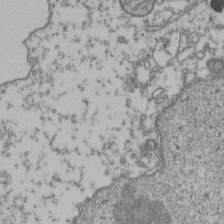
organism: Human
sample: Activated Jurkat CD4+ T cells